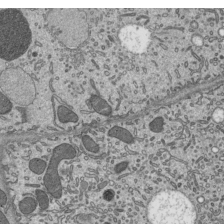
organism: Mouse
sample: Mouse epididymis efferent ductule cilia